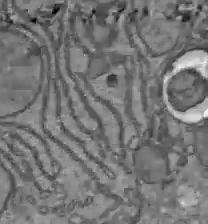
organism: C57BL Mouse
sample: Liver